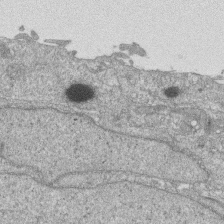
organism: Human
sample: HeLa cell HIV synapse